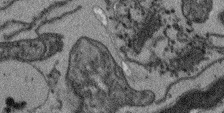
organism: Arabidopsis thaliana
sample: Root tip